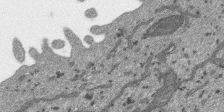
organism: Human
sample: Lung epithelial cells infected with SARS-CoV-2